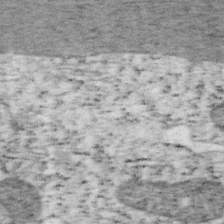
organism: Mouse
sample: OT-I killer T cells with ID8 ovarian cancer cells